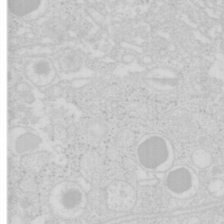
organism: Mouse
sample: Pancreas